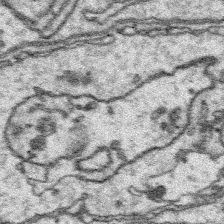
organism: Platynereis dumerilii